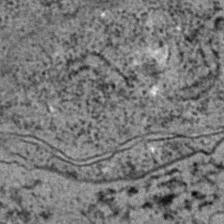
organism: C. elegans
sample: C. elegans embryo